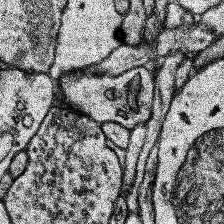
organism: Human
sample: Temporal Lobe